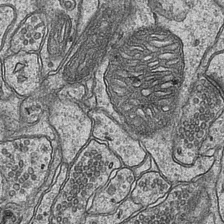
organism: Mouse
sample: CA1 Hippocampus